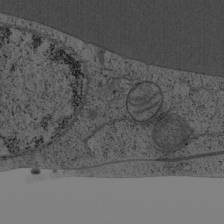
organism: African green monkey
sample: COS-7 cells